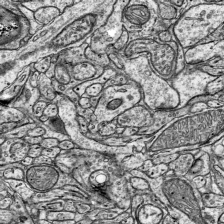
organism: Mouse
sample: Visual Cortex